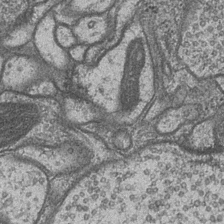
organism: Drosophila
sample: Optic medulla